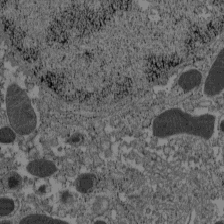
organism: C57BL Mouse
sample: Pancreatic islet